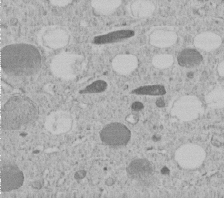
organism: C. elegans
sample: C. elegans embryo early stage